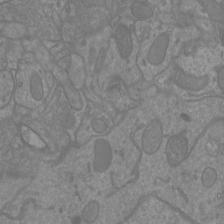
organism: Mouse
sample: Cortical neurons